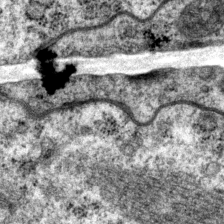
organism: P. pacificus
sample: Pharynx